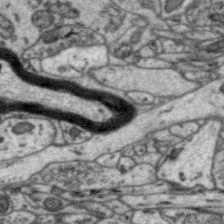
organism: Zebra finch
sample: Brain